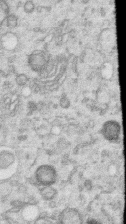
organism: Human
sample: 1205lu cells